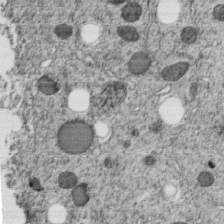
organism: C. elegans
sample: C. elegans embryo early stage